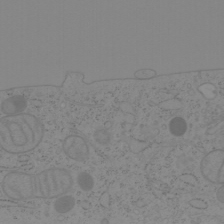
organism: Human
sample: HeLa cells